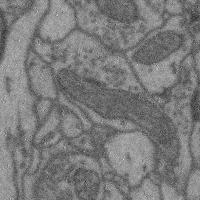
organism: Mouse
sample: Cerebral cortex